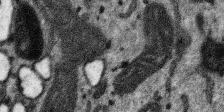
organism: Human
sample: Lung epithelial cells infected with SARS-CoV-2